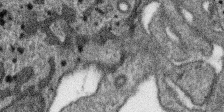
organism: Human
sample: Lung epithelial cells infected with SARS-CoV-2